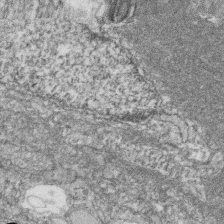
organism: Zebrafish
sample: Cilia; retinal pigment epithelium